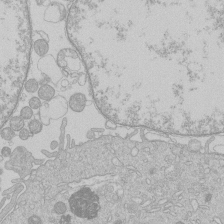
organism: Human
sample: Macrophage cells